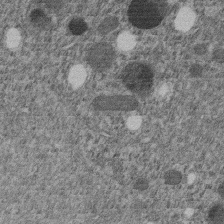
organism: C. elegans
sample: C. elegans embryo early stage